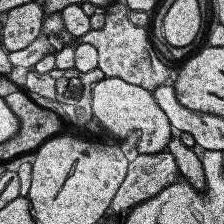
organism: Human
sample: Temporal Lobe